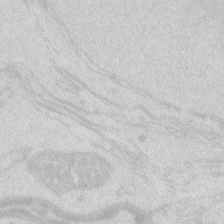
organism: Zebrafish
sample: Macrophage